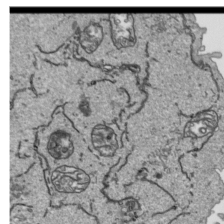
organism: Human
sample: Mitochondria in HCT116 cells